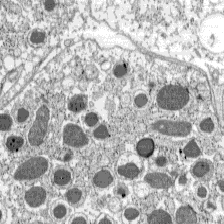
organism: C57BL Mouse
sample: Pancreatic islet